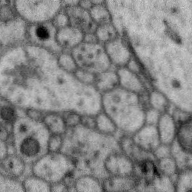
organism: Zebra finch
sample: Brain